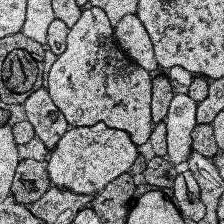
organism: Human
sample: Temporal Lobe